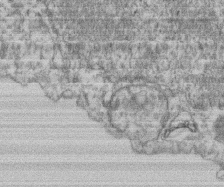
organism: Mouse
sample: T cell stromal cell synapse